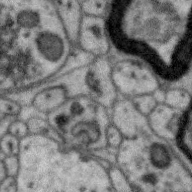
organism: Zebra finch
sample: Brain